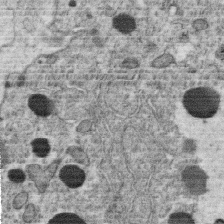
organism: C. elegans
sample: C. elegans oocyte; sperm cells